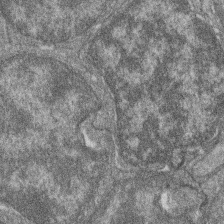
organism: Zebrafish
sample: Cilia; retinal pigment epithelium